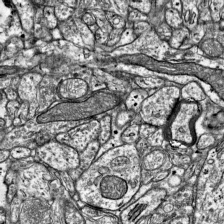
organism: Mouse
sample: Visual Cortex